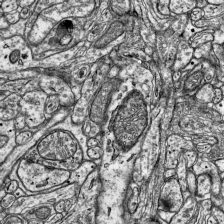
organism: Mouse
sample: Visual Cortex